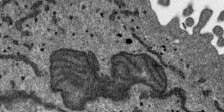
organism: Human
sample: Lung epithelial cells, uninfected (mock) control